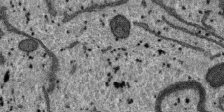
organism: Human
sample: Lung epithelial cells, uninfected (mock) control